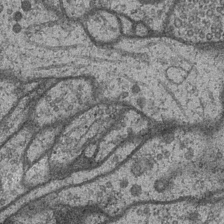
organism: Drosophila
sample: Optic medulla